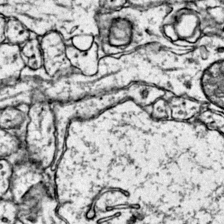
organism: Mouse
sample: Primary visual cortex